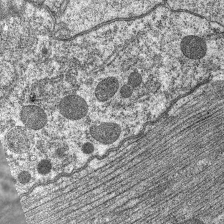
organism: C. elegans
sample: Pharynx